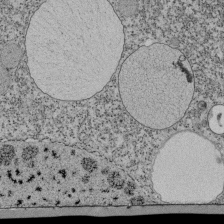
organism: Tetrahymena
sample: Cilia in tetrahymena